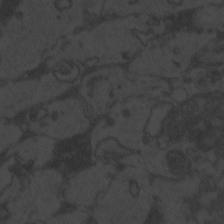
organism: Zebrafish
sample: Macrophage infected with Toxoplasma gondii